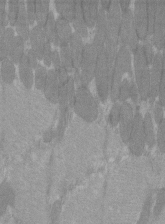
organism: C57BL Mouse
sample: Tibialis anterior muscle cell